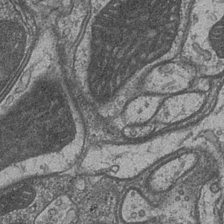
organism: Drosophila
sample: Optic medulla